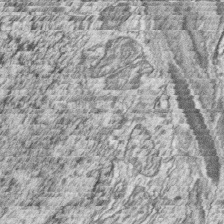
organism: Zebrafish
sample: synaptic ribbons in rod cells and cone cells